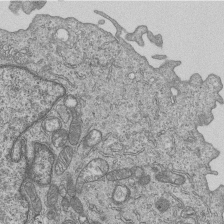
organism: Human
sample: MDA-MB-231 cells